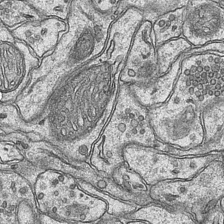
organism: Mouse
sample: CA1 Hippocampus